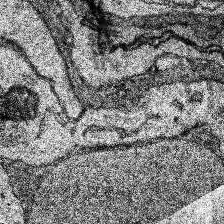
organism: Human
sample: Temporal Lobe